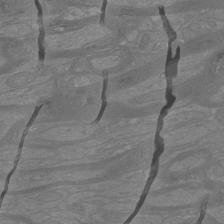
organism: Mouse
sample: Cortical neurons